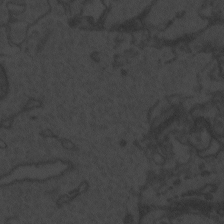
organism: Zebrafish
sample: Macrophage infected with Toxoplasma gondii